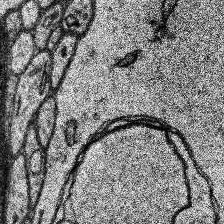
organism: Human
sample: Temporal Lobe